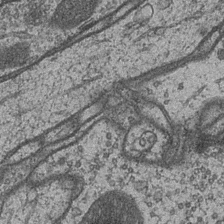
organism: Drosophila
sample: Optic medulla